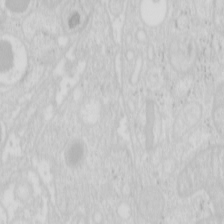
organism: Mouse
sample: Pancreas